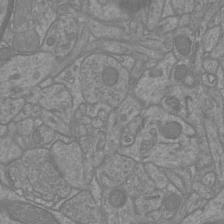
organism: Mouse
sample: Cortical neurons